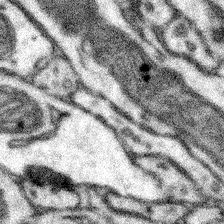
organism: Mouse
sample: Somatosensory cortex neuropil